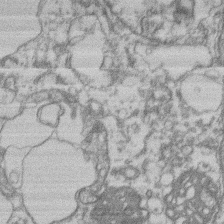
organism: Mouse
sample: T cell stromal cell synapse